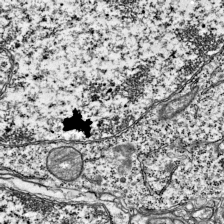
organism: Mouse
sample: Visual Cortex